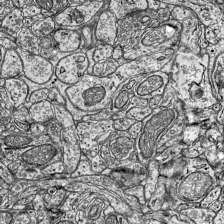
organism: Mouse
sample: Visual Cortex